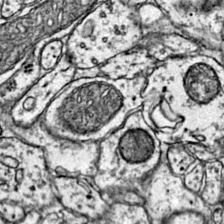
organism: Mouse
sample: Primary visual cortex